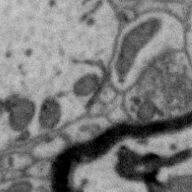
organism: Zebra finch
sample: Brain